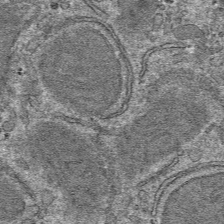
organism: Mouse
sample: Mouse hepatocytes